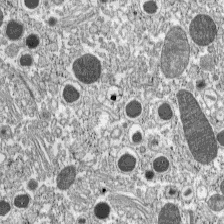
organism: C57BL Mouse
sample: Pancreatic islet